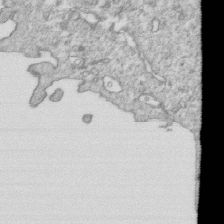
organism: Mouse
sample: Activated OT-1 CD8+ T cells